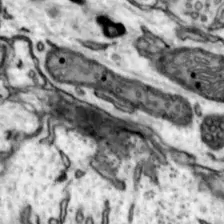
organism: Mouse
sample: Nucleus accumbens